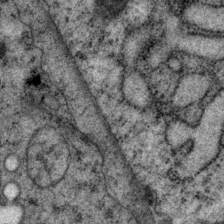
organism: P. pacificus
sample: Pharynx